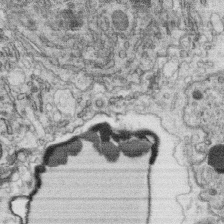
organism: C. elegans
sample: C. elegans oocyte; sperm cells